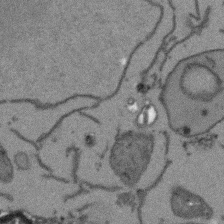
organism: Arabidopsis thaliana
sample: Root tip